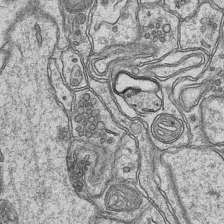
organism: Mouse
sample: CA1 Hippocampus